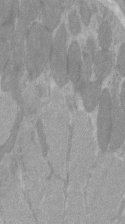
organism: C57BL Mouse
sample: Tibialis anterior muscle cell